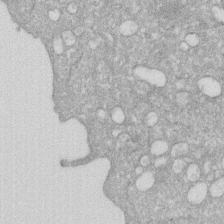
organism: Human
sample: HIV infected U937 cells